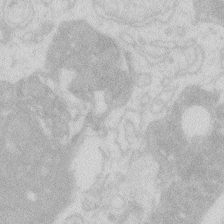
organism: Zebrafish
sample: Macrophage